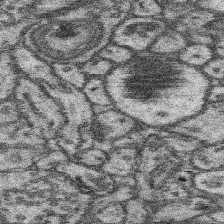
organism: Mouse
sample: Somatosensory cortex neuropil